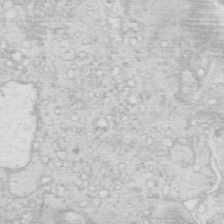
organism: Mouse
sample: Multiciliated cells